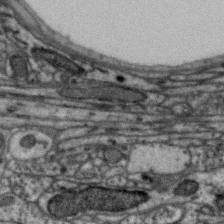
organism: Zebra finch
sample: Brain